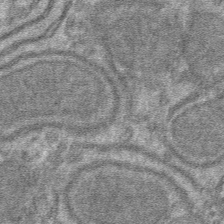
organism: Mouse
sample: Mouse hepatocytes